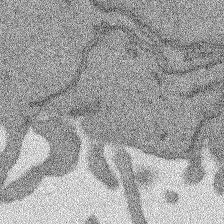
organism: Human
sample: HeLa cells